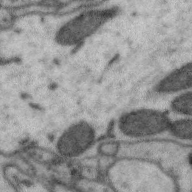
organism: Zebra finch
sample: Brain